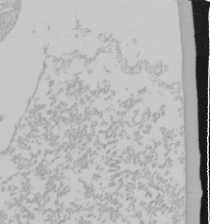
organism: Mouse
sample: Cancer cell death in ED-1 cells